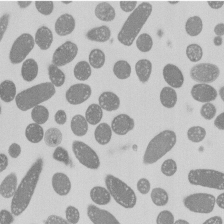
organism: E. coli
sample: Bacterial nucleoid